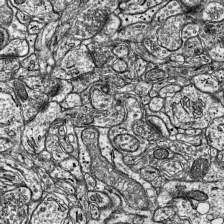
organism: Mouse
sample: Visual Cortex